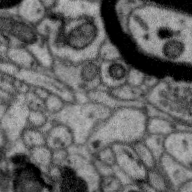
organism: Zebra finch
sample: Brain